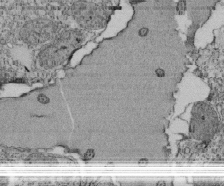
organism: Tetrahymena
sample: Cilia in tetrahymena